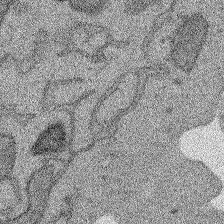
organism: Human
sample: HeLa cells